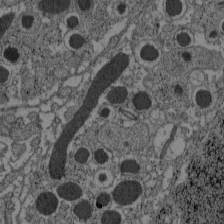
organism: C57BL Mouse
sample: Pancreatic islet